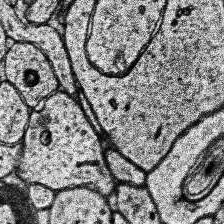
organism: Human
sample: Temporal Lobe